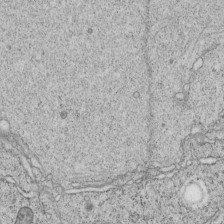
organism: C. elegans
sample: C. elegans embryo early stage